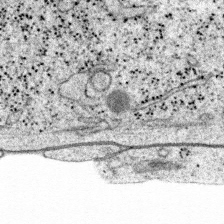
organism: Human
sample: HeLa cells